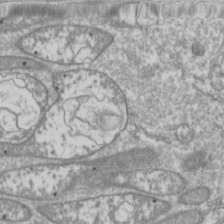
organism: Drosophila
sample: Cell division; meiosis; drosophila spermatocytes